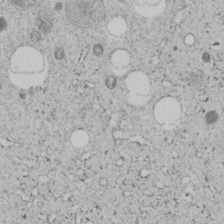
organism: C. elegans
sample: C. elegans embryo early stage